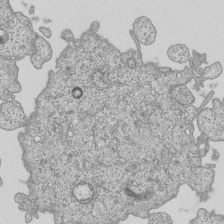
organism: Human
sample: MDA-MB-231 cells